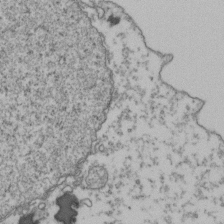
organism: Human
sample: Activated Jurkat CD4+ T cells